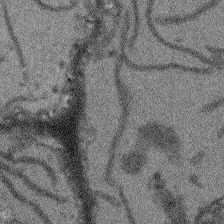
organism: Arabidopsis thaliana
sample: Root tip